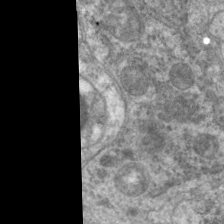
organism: C. elegans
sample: Pharynx